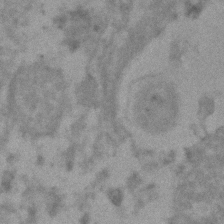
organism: Human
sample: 1205lu cells